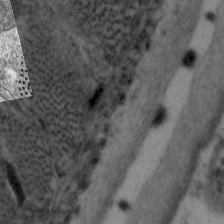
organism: C. elegans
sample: Pharynx